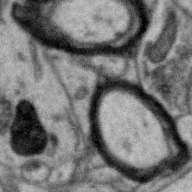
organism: Zebra finch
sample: Brain